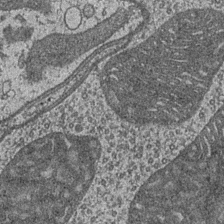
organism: Drosophila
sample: Optic medulla